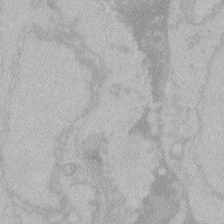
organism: Zebrafish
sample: Macrophage infected with Toxoplasma gondii